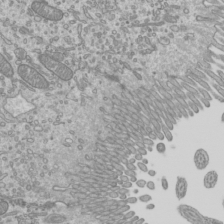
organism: Mouse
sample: Cilia; mouse epididymis